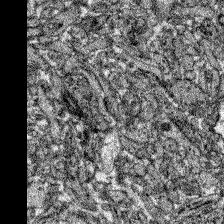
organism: Zebrafish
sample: Larval olfactory bulb